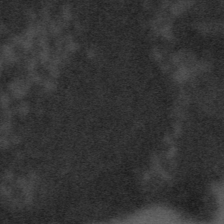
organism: Tuwongella immobilis